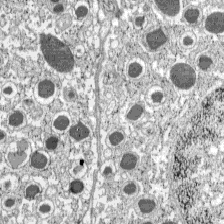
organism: C57BL Mouse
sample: Pancreatic islet